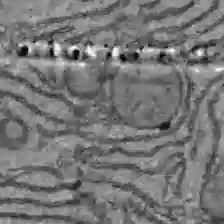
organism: C57BL Mouse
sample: Liver